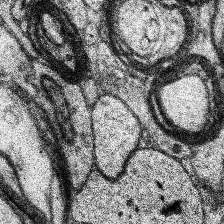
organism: Human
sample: Temporal Lobe